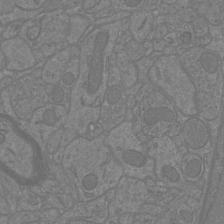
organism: Mouse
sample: Cortical neurons